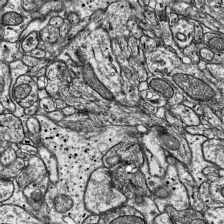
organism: Mouse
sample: Visual Cortex